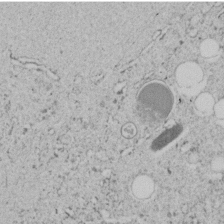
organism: C. elegans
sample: C. elegans embryo early stage